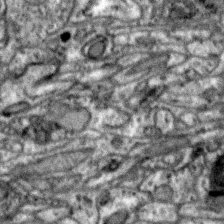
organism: Zebra finch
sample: Brain